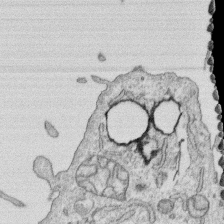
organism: Human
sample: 1205lu cells